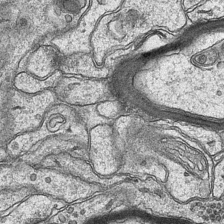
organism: Mouse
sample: CA1 Hippocampus